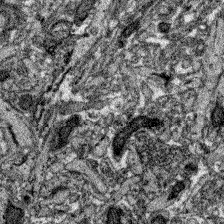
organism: Zebrafish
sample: Larval olfactory bulb